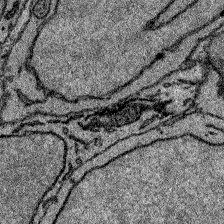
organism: Zebrafish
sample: Larval olfactory bulb